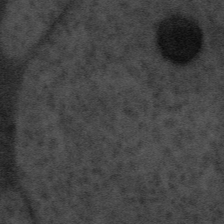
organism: Tuwongella immobilis